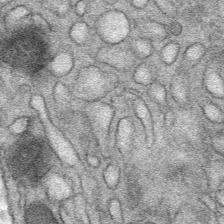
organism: Mouse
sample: Mouse Salivary gland